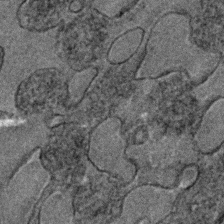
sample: Trachea